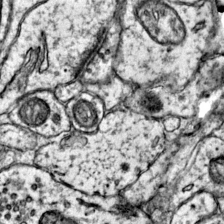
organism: Mouse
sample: Primary visual cortex